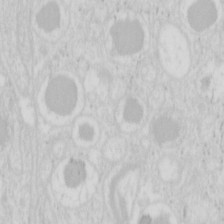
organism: Mouse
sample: Pancreas